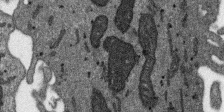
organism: Human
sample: Lung epithelial cells infected with SARS-CoV-2